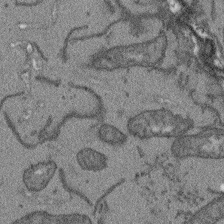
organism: Arabidopsis thaliana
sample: Root tip